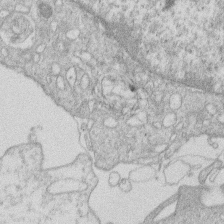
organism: Human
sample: Macrophage cells